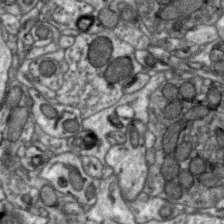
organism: Zebra finch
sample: Brain